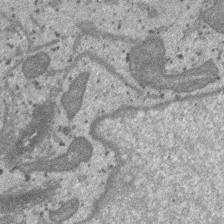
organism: Human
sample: Lung epithelial cells infected with SARS-CoV-2